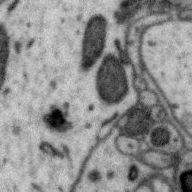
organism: Zebra finch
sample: Brain